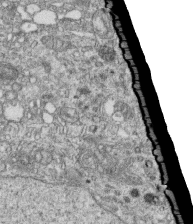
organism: Human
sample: HeLa cell HIV synapse